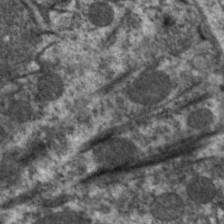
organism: C. elegans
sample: Pharynx